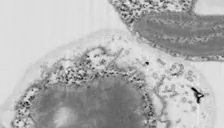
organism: Chlamydomonas reinhardtii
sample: Whole Cell